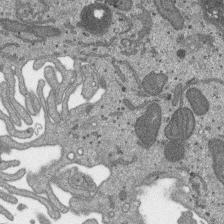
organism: Human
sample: Lung epithelial cells infected with SARS-CoV-2